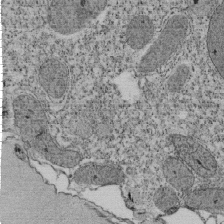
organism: Tetrahymena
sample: Cilia in tetrahymena